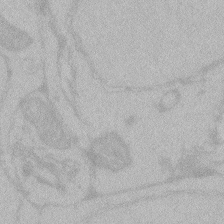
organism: Zebrafish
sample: Macrophage infected with Toxoplasma gondii